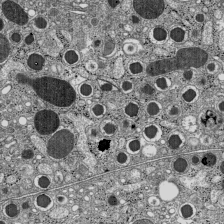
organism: C57BL Mouse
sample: Pancreatic islet